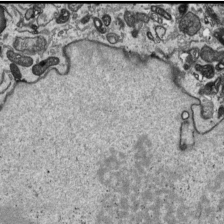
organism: Human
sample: Mitochondria in HCT116 cells